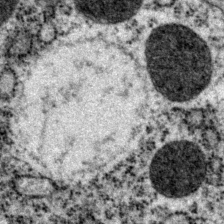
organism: P. pacificus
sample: Pharynx